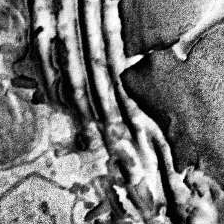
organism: Human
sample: Temporal Lobe